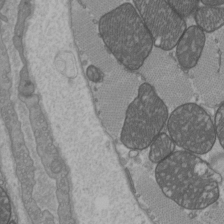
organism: C57BL Mouse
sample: Heart